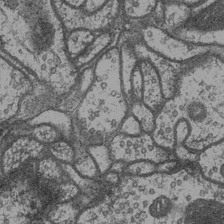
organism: Drosophila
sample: Optic medulla